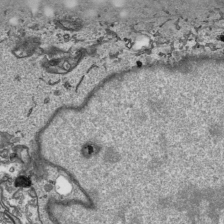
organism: Human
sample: Mitochondria in HCT116 cells